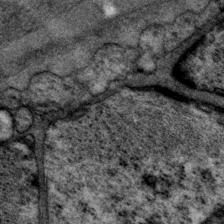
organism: P. pacificus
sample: Pharynx